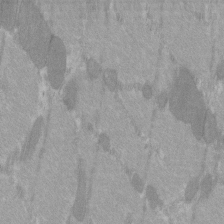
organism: C57BL Mouse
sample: Tibialis anterior muscle cell